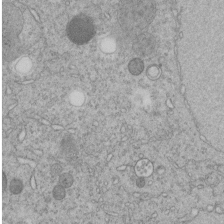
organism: C. elegans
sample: C. elegans embryo early stage